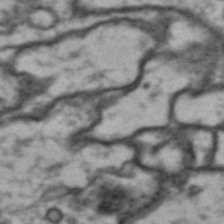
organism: Drosophila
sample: Brain